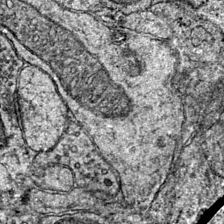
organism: Mouse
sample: Primary visual cortex